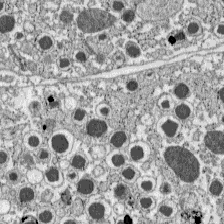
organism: C57BL Mouse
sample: Pancreatic islet